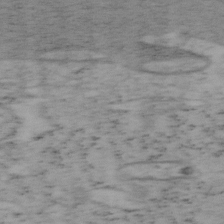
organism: Mouse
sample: OT-I killer T cells with ID8 ovarian cancer cells